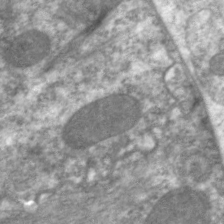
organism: C. elegans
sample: Pharynx